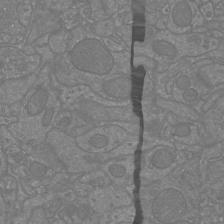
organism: Mouse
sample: Cortical neurons